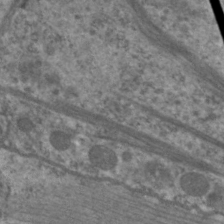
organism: C. elegans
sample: Pharynx